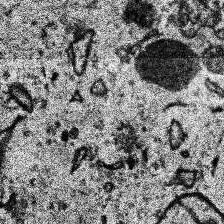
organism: Human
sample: Temporal Lobe